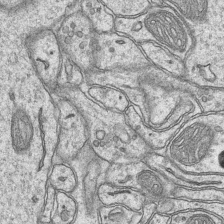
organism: Mouse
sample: CA1 Hippocampus